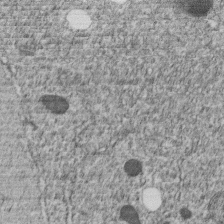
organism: C. elegans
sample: C. elegans embryo early stage